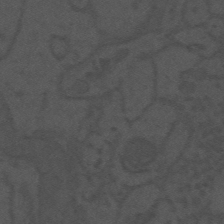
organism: Mouse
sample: Suprachiasmatic nucleus